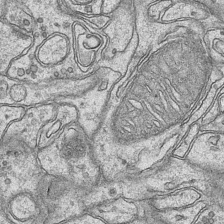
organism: Mouse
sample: CA1 Hippocampus